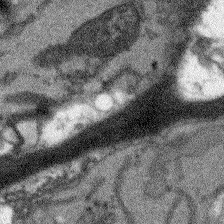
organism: Arabidopsis thaliana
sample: Root tip